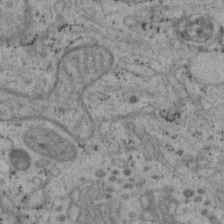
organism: Human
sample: HeLa cells